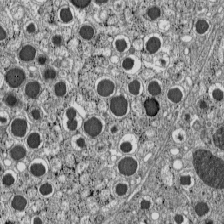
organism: C57BL Mouse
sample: Pancreatic islet